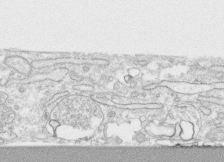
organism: Human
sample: CRL-1474